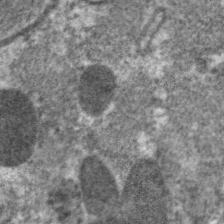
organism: C. elegans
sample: Pharynx